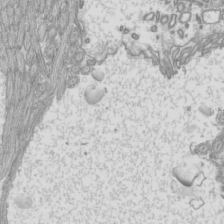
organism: Mouse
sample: Cilia; mouse epididymis